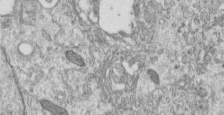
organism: Human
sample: Centriole in RPE cells